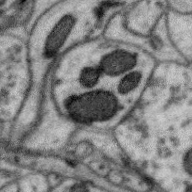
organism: Zebra finch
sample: Brain